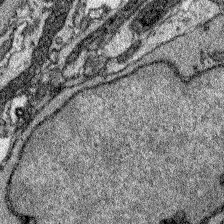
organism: Zebrafish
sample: Larval olfactory bulb